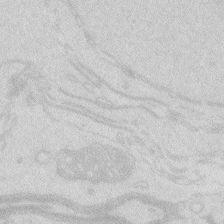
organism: Zebrafish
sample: Macrophage